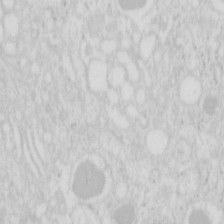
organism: Mouse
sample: Pancreas